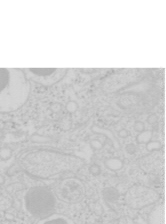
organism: Mouse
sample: Pancreas